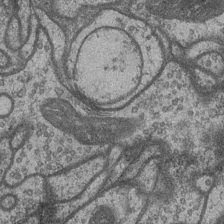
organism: Drosophila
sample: Optic medulla